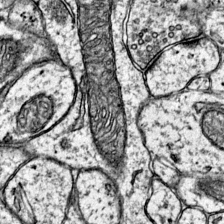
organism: Mouse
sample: Primary visual cortex